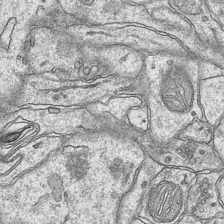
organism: Mouse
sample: CA1 Hippocampus